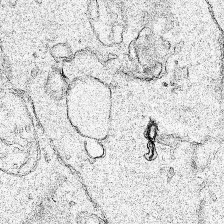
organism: Human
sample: Mitochondria in HCT116 cells